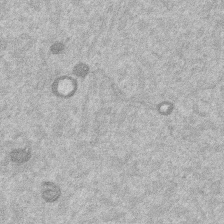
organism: Mouse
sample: Dividing mouse embryo 1 cell stage